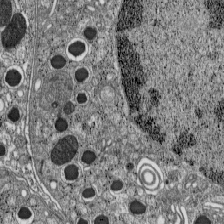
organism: C57BL Mouse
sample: Pancreatic islet